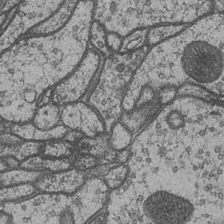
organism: Drosophila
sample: Optic medulla